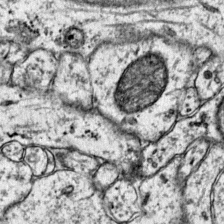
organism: Mouse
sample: Primary visual cortex